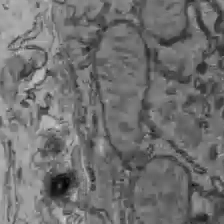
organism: C57BL Mouse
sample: Liver